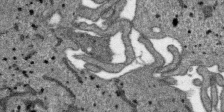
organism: Human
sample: Lung epithelial cells, uninfected (mock) control